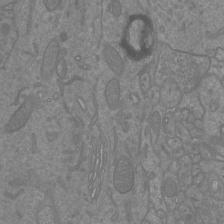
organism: Mouse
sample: Cortical neurons